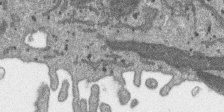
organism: Human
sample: Lung epithelial cells infected with SARS-CoV-2